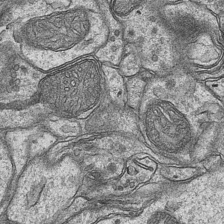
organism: Mouse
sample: CA1 Hippocampus